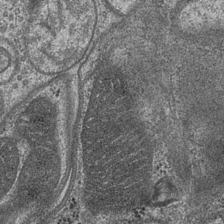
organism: Drosophila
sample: Optic medulla